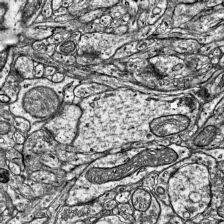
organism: Mouse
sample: Visual Cortex